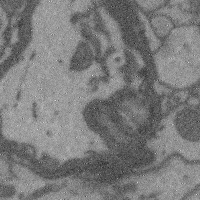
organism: Mouse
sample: Cerebral cortex